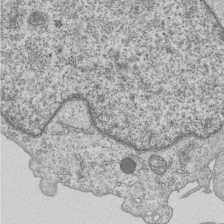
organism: Human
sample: MDA-MB-231 cells